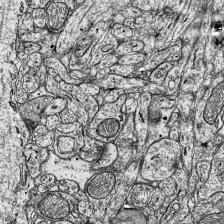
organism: Mouse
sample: Visual Cortex